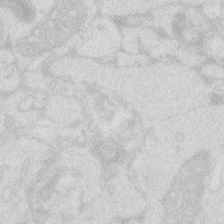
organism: Zebrafish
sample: Macrophage